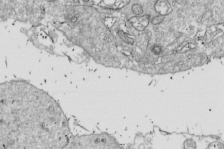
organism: Drosophila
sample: Cell division; meiosis; drosophila spermatocytes